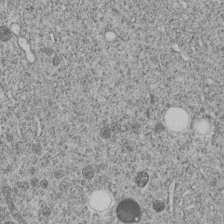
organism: C. elegans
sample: C. elegans embryo early stage